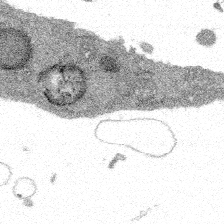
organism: Spongilla lacustris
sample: Multiple